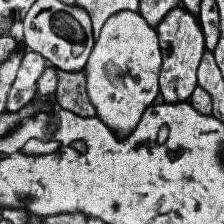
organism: Human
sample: Temporal Lobe